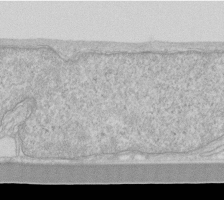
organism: Human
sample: Fibroblast cells